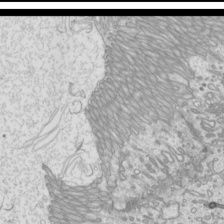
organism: Mouse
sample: Cilia; mouse epididymis